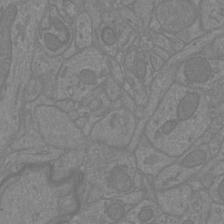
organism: Mouse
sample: Cortical neurons